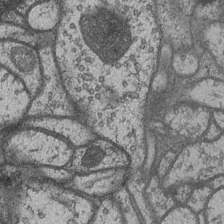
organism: Drosophila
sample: Optic medulla